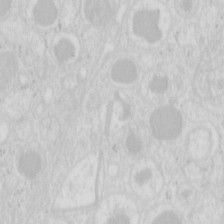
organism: Mouse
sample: Pancreas